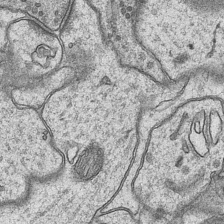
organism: Mouse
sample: CA1 Hippocampus